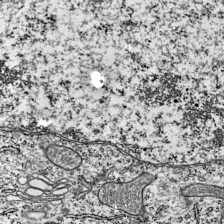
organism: Mouse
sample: Visual Cortex